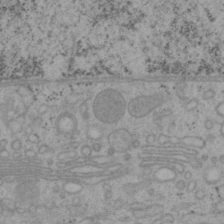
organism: Human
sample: HeLa cells